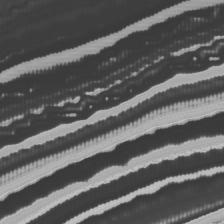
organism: Mouse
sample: Cortical neurons